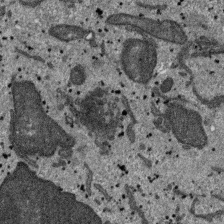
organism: Human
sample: Lung epithelial cells, uninfected (mock) control